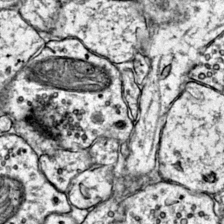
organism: Mouse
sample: Primary visual cortex